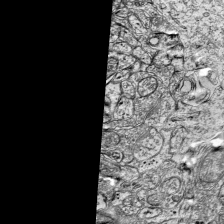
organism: Mouse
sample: Visual Cortex